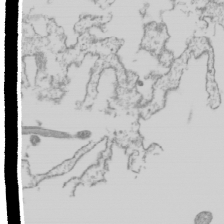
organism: Mouse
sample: Cilia; mouse epididymis